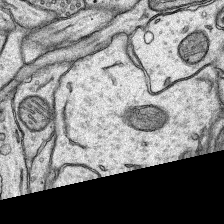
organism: Rat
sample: Hippocampus